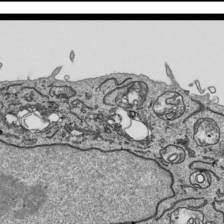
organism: Human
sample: Mitochondria in HCT116 cells